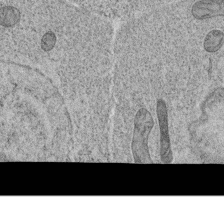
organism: C. elegans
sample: C. elegans oocyte; sperm cells